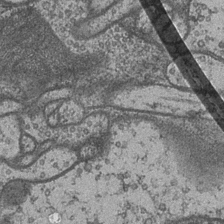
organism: Drosophila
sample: Optic medulla